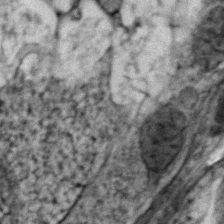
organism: Zebrafish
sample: Zebrafish embryo